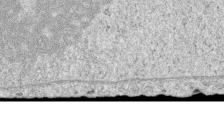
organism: Human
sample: HeLa cell HIV synapse